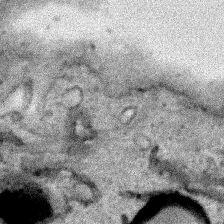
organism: Human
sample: Mitochondria in HCT116 cells